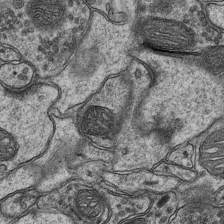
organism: Mouse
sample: CA1 Hippocampus